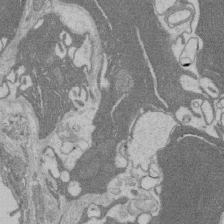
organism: Rat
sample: Salivary granule